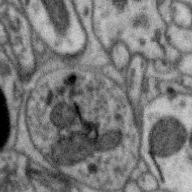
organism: Zebra finch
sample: Brain